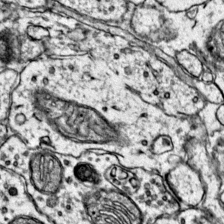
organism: Mouse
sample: Primary visual cortex